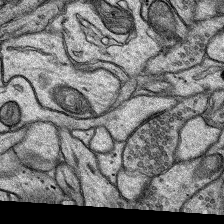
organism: Rat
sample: Hippocampus